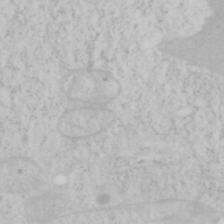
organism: Mouse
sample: OT-I killer T cells with ID8 ovarian cancer cells